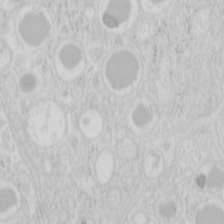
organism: Mouse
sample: Pancreas